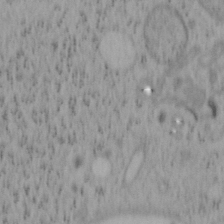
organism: Mouse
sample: OT-I killer T cells with ID8 ovarian cancer cells